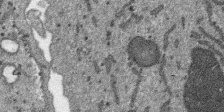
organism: Human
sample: Lung epithelial cells infected with SARS-CoV-2